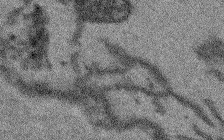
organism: Arabidopsis thaliana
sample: Root tip